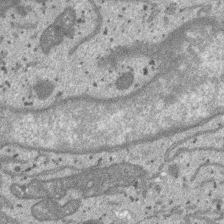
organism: Human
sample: Lung epithelial cells infected with SARS-CoV-2